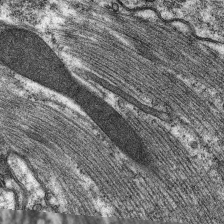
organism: C. elegans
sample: Pharynx